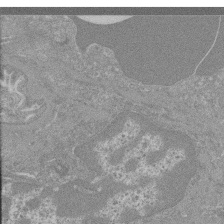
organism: Mouse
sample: Glomerulus